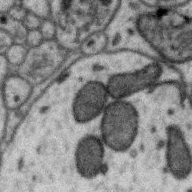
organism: Zebra finch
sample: Brain